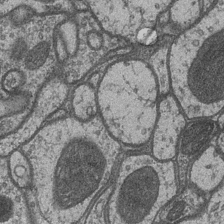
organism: Drosophila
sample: Optic medulla